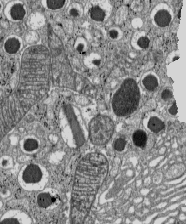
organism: C57BL Mouse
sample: Pancreatic islet